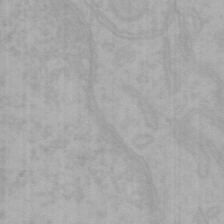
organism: Mouse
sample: Choroid plexus